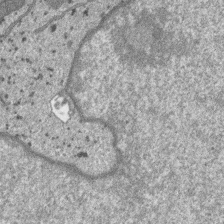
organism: Human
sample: Lung epithelial cells infected with SARS-CoV-2